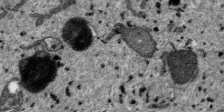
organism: Human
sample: Lung epithelial cells, uninfected (mock) control